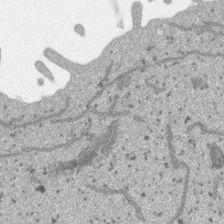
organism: Human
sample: Lung epithelial cells infected with SARS-CoV-2